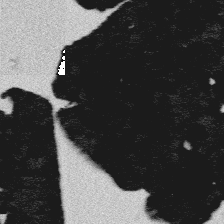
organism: Platynereis dumerilii